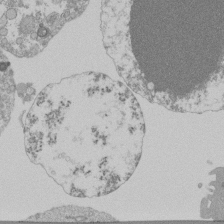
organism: Mouse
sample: Activated Pmel transgenic CD8+ T Cells